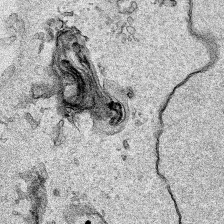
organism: Human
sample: Mitochondria in HCT116 cells